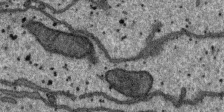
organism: Human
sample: Lung epithelial cells, uninfected (mock) control